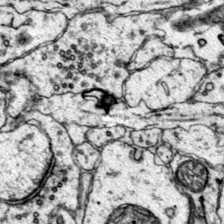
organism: Mouse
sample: Primary visual cortex